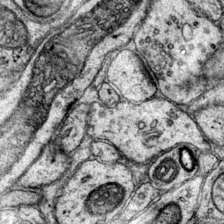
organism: Mouse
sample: Primary visual cortex